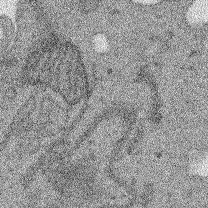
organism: Human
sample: HeLa cells